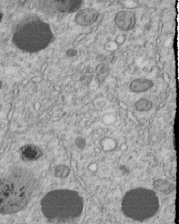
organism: C. elegans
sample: C. elegans embryo early stage